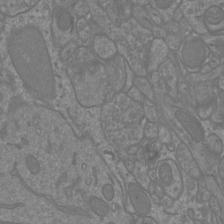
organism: Mouse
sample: Cortical neurons